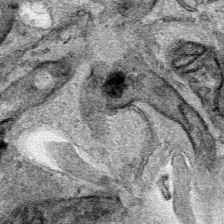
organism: Human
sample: Mitochondria in HCT116 cells